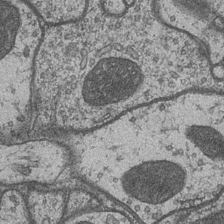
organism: Drosophila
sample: Optic medulla